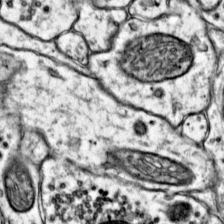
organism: Mouse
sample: Primary visual cortex